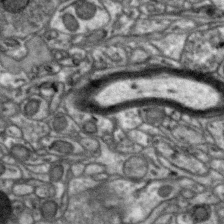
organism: Zebra finch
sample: Brain